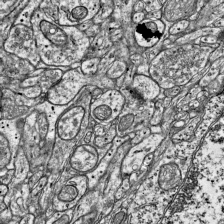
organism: Mouse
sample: Visual Cortex